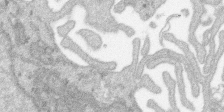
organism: Human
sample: Lung epithelial cells infected with SARS-CoV-2